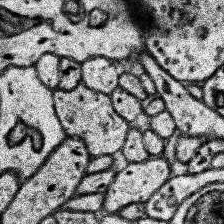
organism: Human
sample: Temporal Lobe